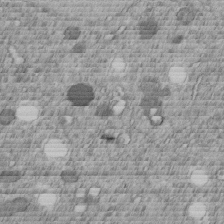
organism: C. elegans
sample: C. elegans embryo early stage